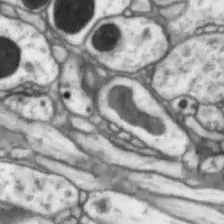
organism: Drosophila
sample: Optic lobe